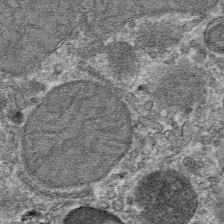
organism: Mouse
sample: Mouse hepatocytes